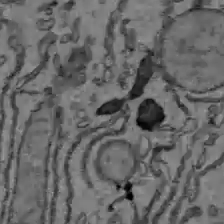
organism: C57BL Mouse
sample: Liver